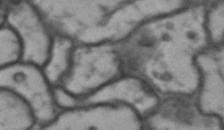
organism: Drosophila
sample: Brain